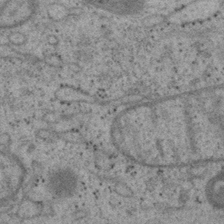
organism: Human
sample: HeLa cells